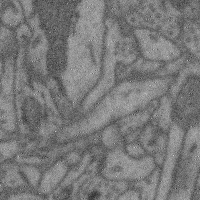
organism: Mouse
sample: Cerebral cortex